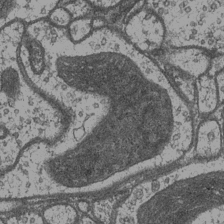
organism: Drosophila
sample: Optic medulla